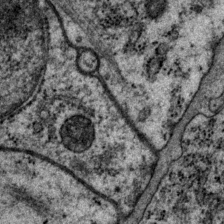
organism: P. pacificus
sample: Pharynx